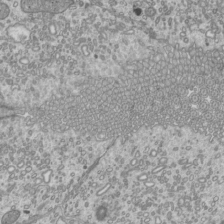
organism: Mouse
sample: Cilia; mouse epididymis